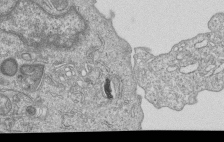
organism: Human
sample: MDA-MB-231 cells